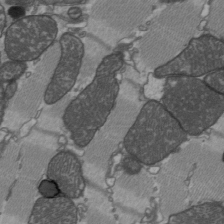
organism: C57BL Mouse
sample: Heart